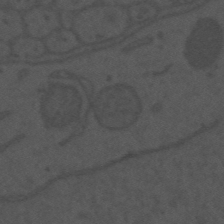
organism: Mouse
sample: Suprachiasmatic nucleus